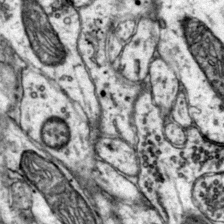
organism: Mouse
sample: Primary visual cortex